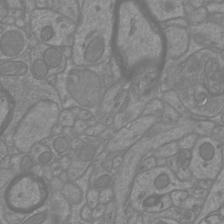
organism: Mouse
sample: Cortical neurons